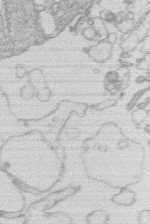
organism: Human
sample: Macrophage cells